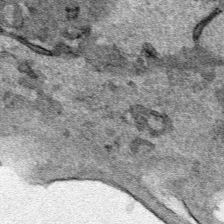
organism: Human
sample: Mitochondria in HCT116 cells